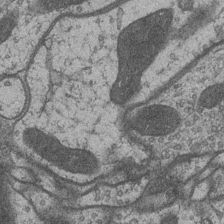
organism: Drosophila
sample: Optic medulla